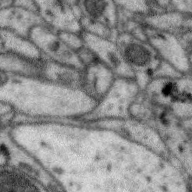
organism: Zebra finch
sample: Brain